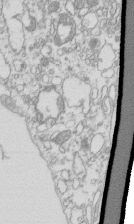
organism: Mouse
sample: Macrophages